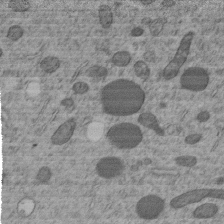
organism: C. elegans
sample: C. elegans embryo early stage